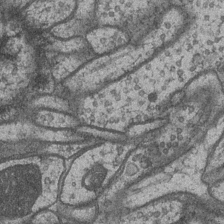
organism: Drosophila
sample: Optic medulla